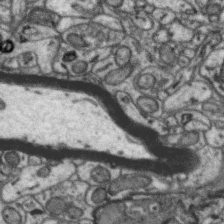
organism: Zebra finch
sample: Brain